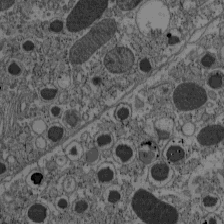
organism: C57BL Mouse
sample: Pancreatic islet